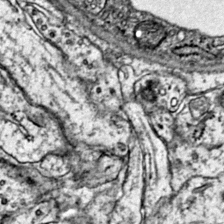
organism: Mouse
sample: Primary visual cortex